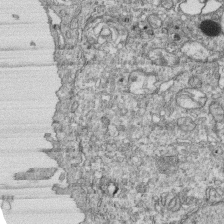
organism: Human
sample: HeLa cell HIV synapse